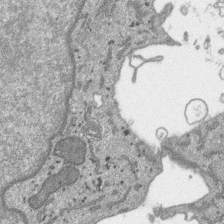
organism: Human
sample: Lung epithelial cells infected with SARS-CoV-2